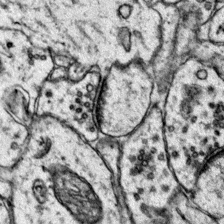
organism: Mouse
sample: Primary visual cortex